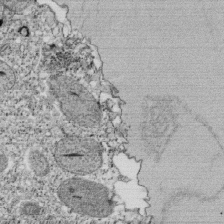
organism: Tetrahymena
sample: Cilia in tetrahymena